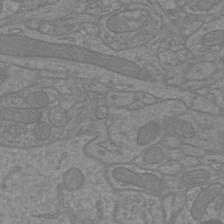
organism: Mouse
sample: Cortical neurons